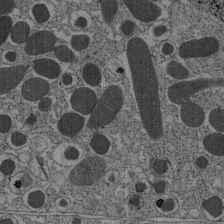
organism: C57BL Mouse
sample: Pancreatic islet